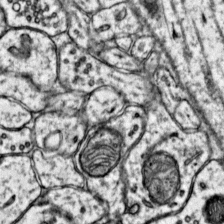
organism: Mouse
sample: Primary visual cortex